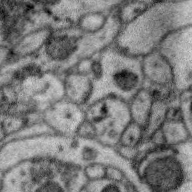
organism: Zebra finch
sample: Brain